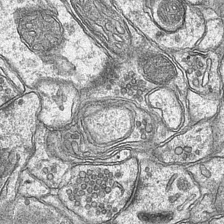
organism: Mouse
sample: CA1 Hippocampus